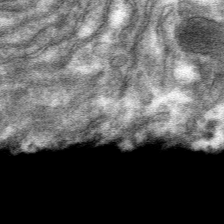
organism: Mouse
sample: Mouse hepatocytes